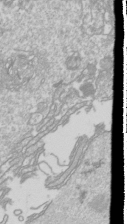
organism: Drosophila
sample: Cell division; meiosis; drosophila spermatocytes